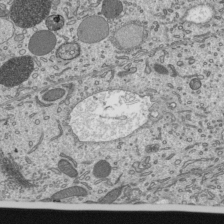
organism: Mouse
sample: Mouse epididymis efferent ductule cilia